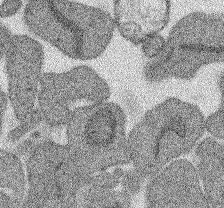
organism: Human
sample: HeLa cells